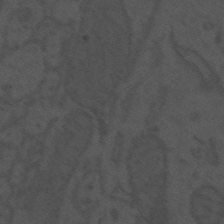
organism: Mouse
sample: Suprachiasmatic nucleus